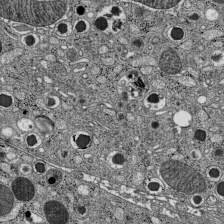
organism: C57BL Mouse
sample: Pancreatic islet